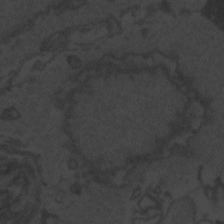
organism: Zebrafish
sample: Macrophage infected with Toxoplasma gondii